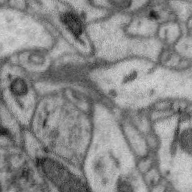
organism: Zebra finch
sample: Brain